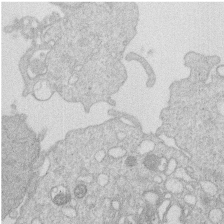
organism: Human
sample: Macrophage cells